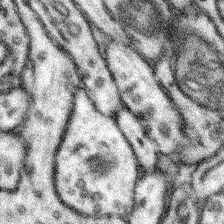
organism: Mouse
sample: Somatosensory cortex neuropil